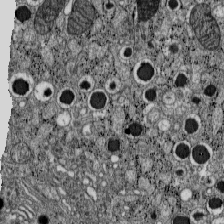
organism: C57BL Mouse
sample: Pancreatic islet